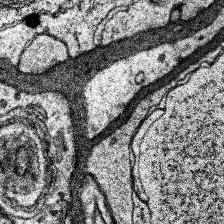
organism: Human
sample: Temporal Lobe